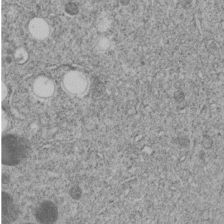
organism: C. elegans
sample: C. elegans embryo early stage